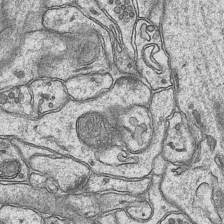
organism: Mouse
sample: CA1 Hippocampus